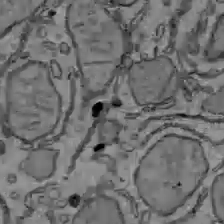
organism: C57BL Mouse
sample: Liver